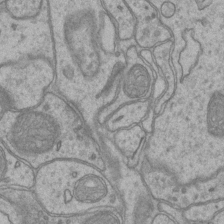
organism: Mouse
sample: CA1 Hippocampus